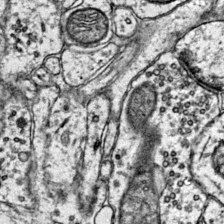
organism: Mouse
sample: Primary visual cortex